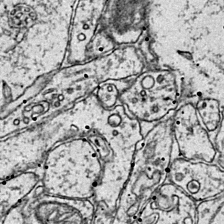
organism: Mouse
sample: Primary visual cortex